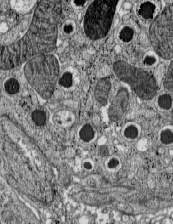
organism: C57BL Mouse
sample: Pancreatic islet